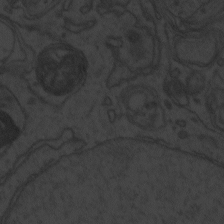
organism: Zebrafish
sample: Macrophage infected with Toxoplasma gondii